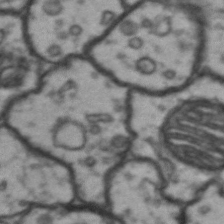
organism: Drosophila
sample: Brain